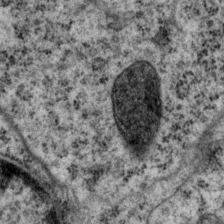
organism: P. pacificus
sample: Pharynx